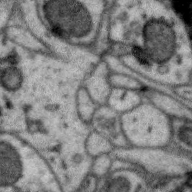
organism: Zebra finch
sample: Brain